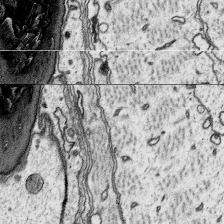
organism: Platynereis dumerilii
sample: Parapodia